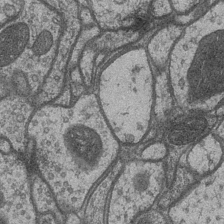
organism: Drosophila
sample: Optic medulla